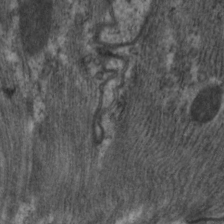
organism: C. elegans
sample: Pharynx